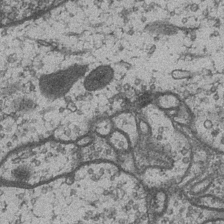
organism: Drosophila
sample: Optic medulla